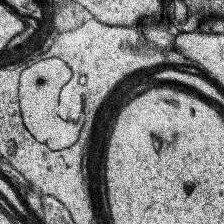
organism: Human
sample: Temporal Lobe